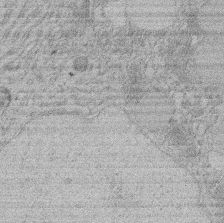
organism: Rat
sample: Salivary granule